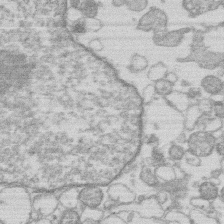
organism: Human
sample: Macrophage cells